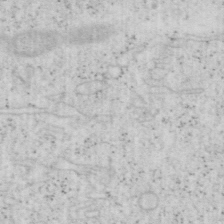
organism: Human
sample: HeLa cells